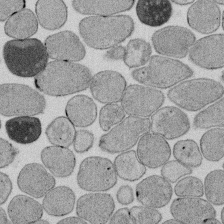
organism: E. coli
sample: Bacterial nucleoid